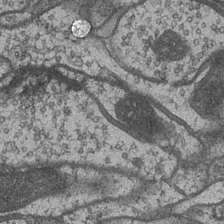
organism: Drosophila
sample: Optic medulla